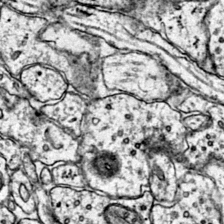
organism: Mouse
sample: Primary visual cortex